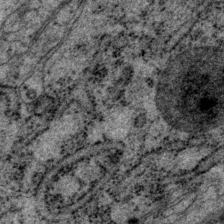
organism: P. pacificus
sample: Pharynx